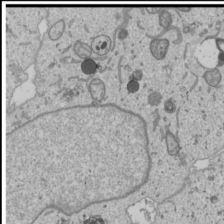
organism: Human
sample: Mitochondria in U2OS cells